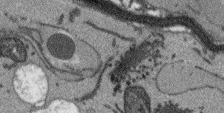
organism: Arabidopsis thaliana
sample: Root tip